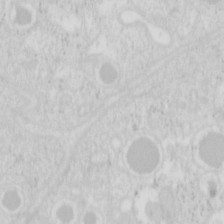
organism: Mouse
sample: Pancreas